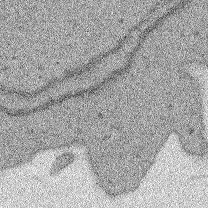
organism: Human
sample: HeLa cells